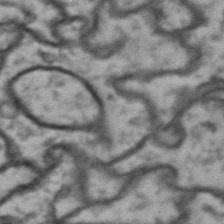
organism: Drosophila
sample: Brain